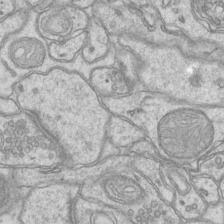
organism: Mouse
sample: CA1 Hippocampus